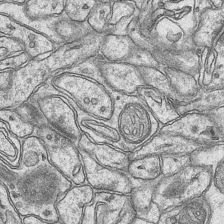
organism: Mouse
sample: CA1 Hippocampus